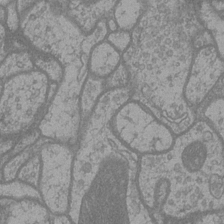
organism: Drosophila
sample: Optic medulla